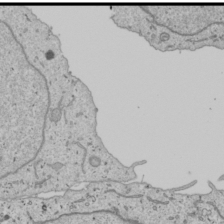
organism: Human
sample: Mitochondria in U2OS cells